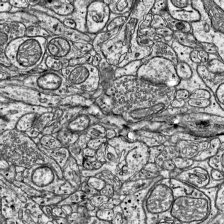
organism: Mouse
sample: Visual Cortex